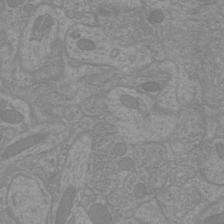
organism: Mouse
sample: Cortical neurons